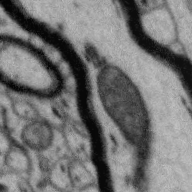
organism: Zebra finch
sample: Brain